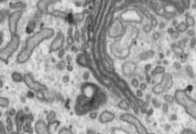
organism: Toxoplasma gondii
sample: Parasites in a vacuole inside a host cell